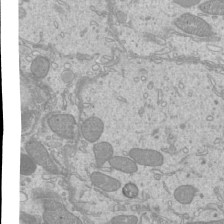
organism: Mouse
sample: Cilia; mouse epididymis